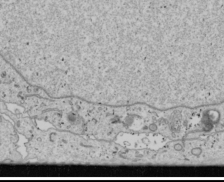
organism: Human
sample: Mitochondria in U2OS cells